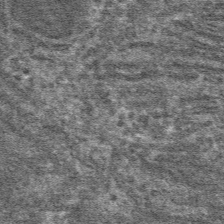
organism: Mouse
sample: Mouse hepatocytes